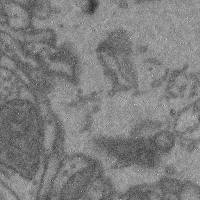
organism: Mouse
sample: Cerebral cortex